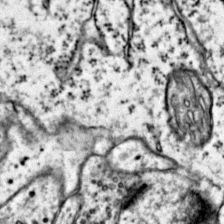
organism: Mouse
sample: Primary visual cortex